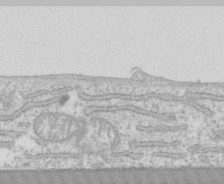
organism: Human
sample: CRL-1474